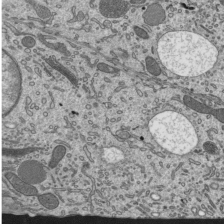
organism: Mouse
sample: Mouse epididymis efferent ductule cilia